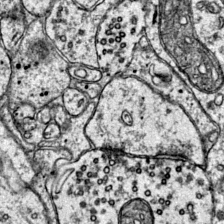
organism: Mouse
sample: Primary visual cortex